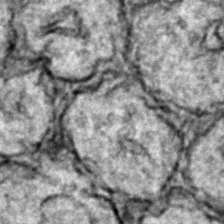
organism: Zebrafish